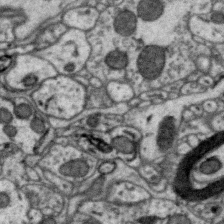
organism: Zebra finch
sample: Brain